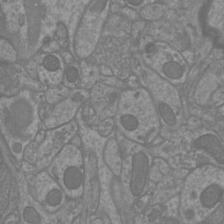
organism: Mouse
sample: Cortical neurons